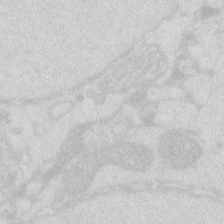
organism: Zebrafish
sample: Macrophage